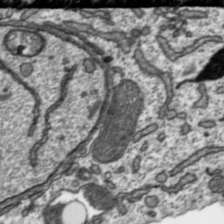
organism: Toxoplasma gondii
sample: Parasites in a vacuole inside a host cell